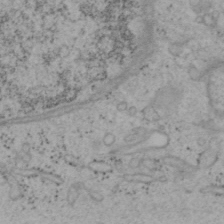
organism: Human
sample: HeLa cells